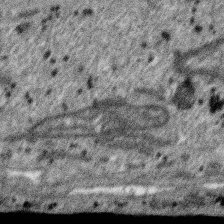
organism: Human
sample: Lung epithelial cells infected with SARS-CoV-2